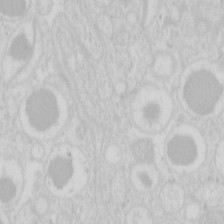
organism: Mouse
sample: Pancreas